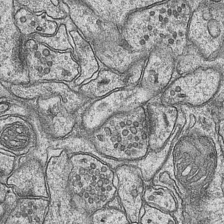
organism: Mouse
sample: CA1 Hippocampus